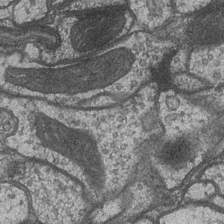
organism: Drosophila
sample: Optic medulla